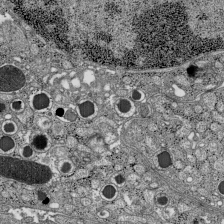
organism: C57BL Mouse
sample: Pancreatic islet